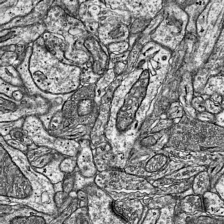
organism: Mouse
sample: Visual Cortex